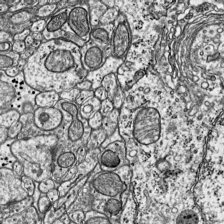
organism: Mouse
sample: Visual Cortex